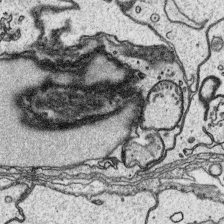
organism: Platynereis dumerilii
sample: Parapodia